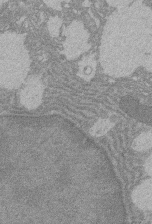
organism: Rat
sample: Salivary granule